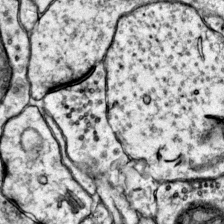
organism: Mouse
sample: Primary visual cortex